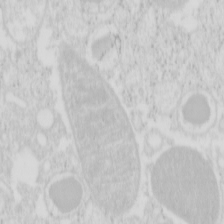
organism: Mouse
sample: Pancreas